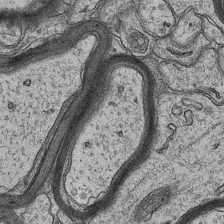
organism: Mouse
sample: CA1 Hippocampus